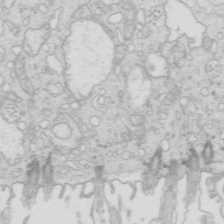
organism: Mouse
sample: Multiciliated cells